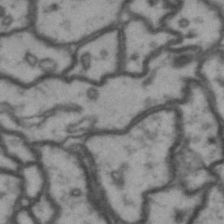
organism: Drosophila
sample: Brain